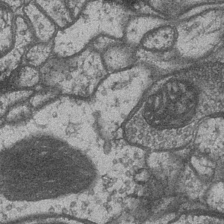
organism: Drosophila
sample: Optic medulla